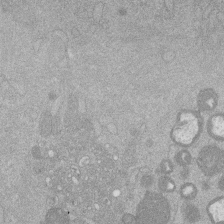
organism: Mouse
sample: Dividing mouse embryo 1 cell stage